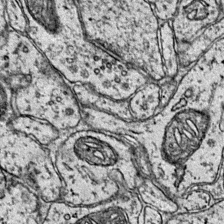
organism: Mouse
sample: Primary visual cortex